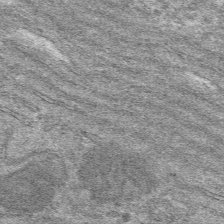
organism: Mouse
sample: Mouse hepatocytes